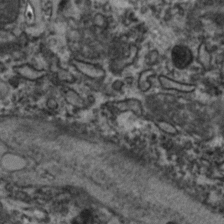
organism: Zebrafish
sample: Zebrafish embryo